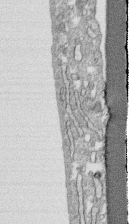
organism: Human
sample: CRL-1474